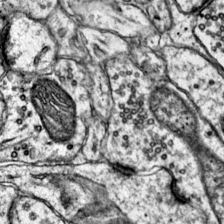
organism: Mouse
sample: Primary visual cortex